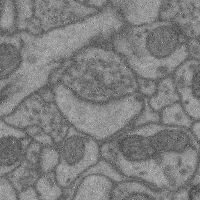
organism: Mouse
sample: Cerebral cortex